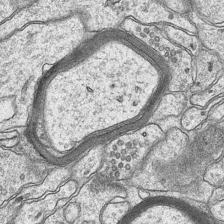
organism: Mouse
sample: CA1 Hippocampus